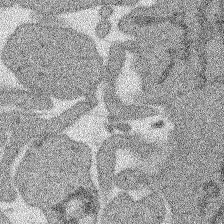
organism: Human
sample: HeLa cells